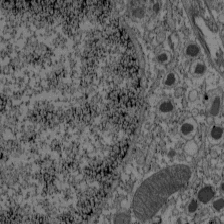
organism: C57BL Mouse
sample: Pancreatic islet